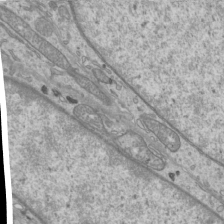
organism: Mouse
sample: Cilia; mouse epididymis